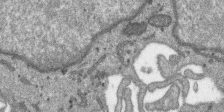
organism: Human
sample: Lung epithelial cells infected with SARS-CoV-2